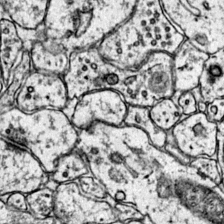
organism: Mouse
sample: Primary visual cortex